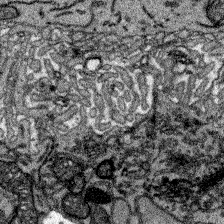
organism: Zebrafish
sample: Larval olfactory bulb